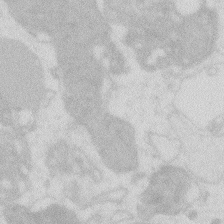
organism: Zebrafish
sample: Macrophage